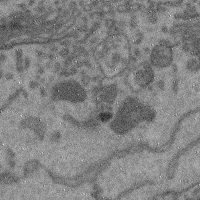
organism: Mouse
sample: Cerebral cortex